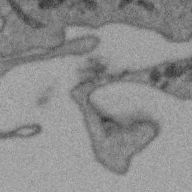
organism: Zebra finch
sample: Brain